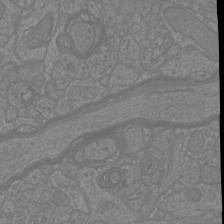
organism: Mouse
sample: Cortical neurons